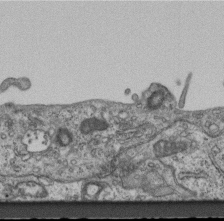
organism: Mouse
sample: Centriole in ependymal cells